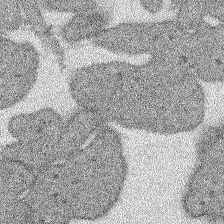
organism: Human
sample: HeLa cells